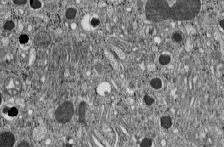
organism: C57BL Mouse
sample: Pancreatic islet